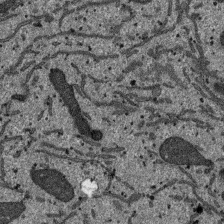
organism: Human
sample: Lung epithelial cells infected with SARS-CoV-2